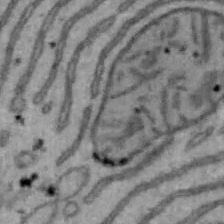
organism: Mouse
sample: Liver